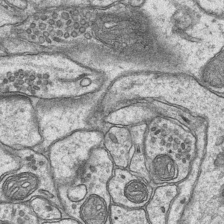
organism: Mouse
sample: CA1 Hippocampus